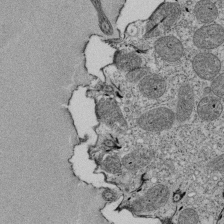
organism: Tetrahymena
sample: Cilia in tetrahymena